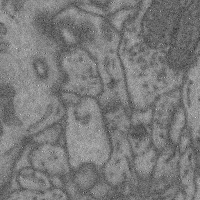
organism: Mouse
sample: Cerebral cortex